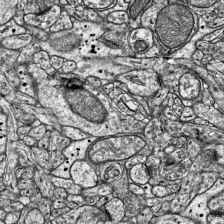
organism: Mouse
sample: Visual Cortex